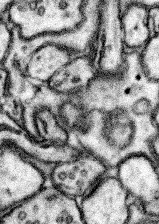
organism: Mouse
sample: Somatosensory cortex neuropil